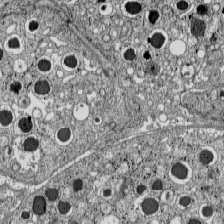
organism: C57BL Mouse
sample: Pancreatic islet